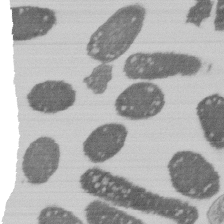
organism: E. coli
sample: Bacterial nucleoid